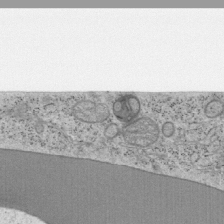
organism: Human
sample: HeLa cells